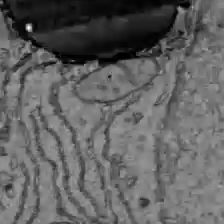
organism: C57BL Mouse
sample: Liver